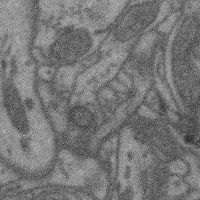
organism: Mouse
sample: Cerebral cortex